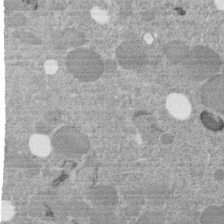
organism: C. elegans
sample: C. elegans embryo early stage